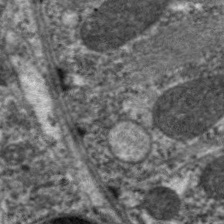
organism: C. elegans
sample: Pharynx